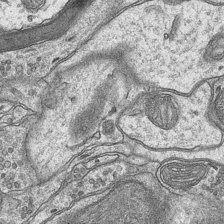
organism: Mouse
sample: CA1 Hippocampus